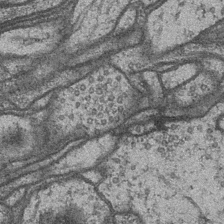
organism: Drosophila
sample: Optic medulla